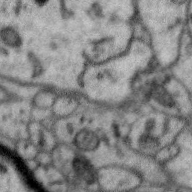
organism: Zebra finch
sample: Brain